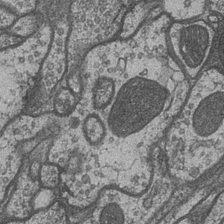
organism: Drosophila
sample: Optic medulla